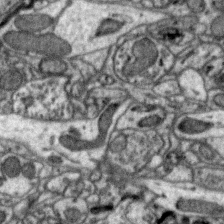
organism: Zebra finch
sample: Brain